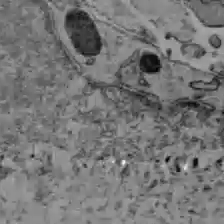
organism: C57BL Mouse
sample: Liver